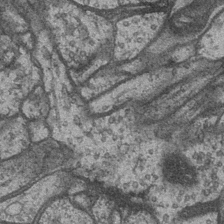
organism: Drosophila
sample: Optic medulla